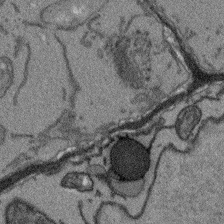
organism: Arabidopsis thaliana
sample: Root tip